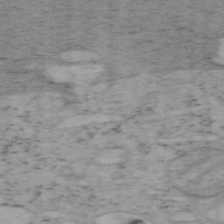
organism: Mouse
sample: OT-I killer T cells with ID8 ovarian cancer cells